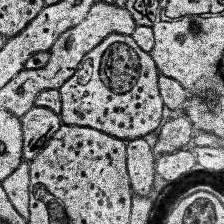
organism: Human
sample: Temporal Lobe